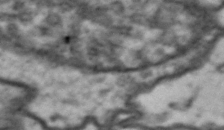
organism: Drosophila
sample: Brain